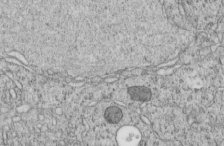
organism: C. elegans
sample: C. elegans embryo early stage